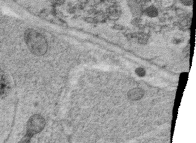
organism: C. elegans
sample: C. elegans oocyte; sperm cells